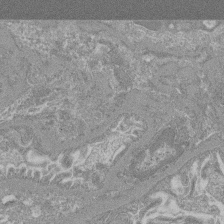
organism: Mouse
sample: Glomerulus